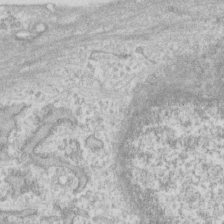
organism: Human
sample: Fibroblast cells